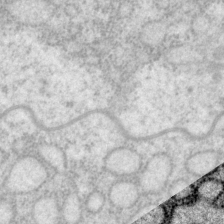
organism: P. pacificus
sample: Pharynx